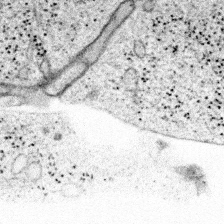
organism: Human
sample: HeLa cells